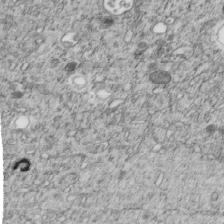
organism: C. elegans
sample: C. elegans embryo early stage